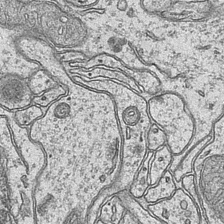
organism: Mouse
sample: CA1 Hippocampus